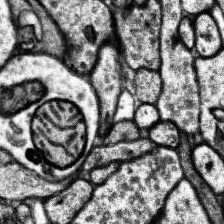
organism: Human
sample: Temporal Lobe